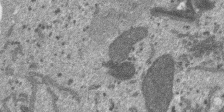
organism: Human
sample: Lung epithelial cells infected with SARS-CoV-2